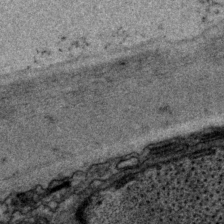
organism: P. pacificus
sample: Pharynx